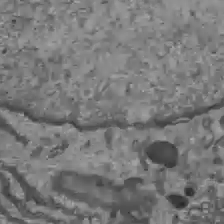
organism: C57BL Mouse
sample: Liver